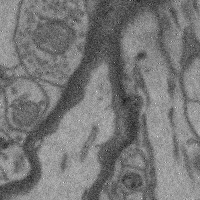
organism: Mouse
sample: Cerebral cortex